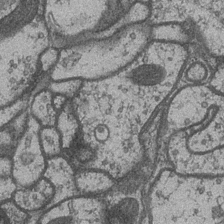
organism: Drosophila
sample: Optic medulla